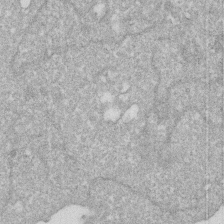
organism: Human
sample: HIV infected U937 cells